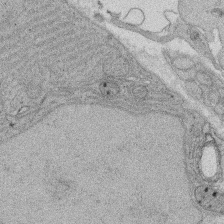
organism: Rat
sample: Salivary granule